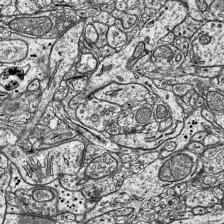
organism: Mouse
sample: Visual Cortex